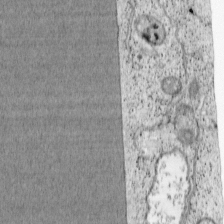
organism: African green monkey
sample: COS-7 cells